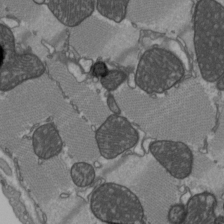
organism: C57BL Mouse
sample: Heart